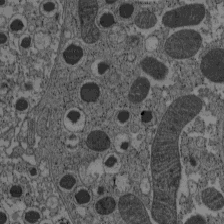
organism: C57BL Mouse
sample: Pancreatic islet